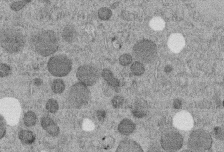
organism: C. elegans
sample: C. elegans embryo early stage